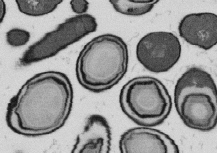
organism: B. subtilis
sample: Bacterial spore